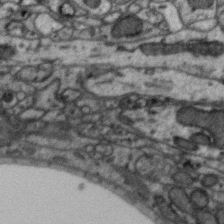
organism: Zebra finch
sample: Brain